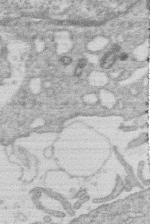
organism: Human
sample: Macrophage cells